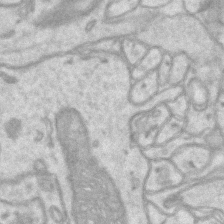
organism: Mouse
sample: CA1 Hippocampus